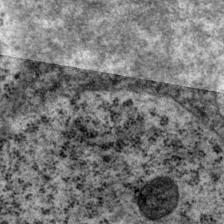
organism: P. pacificus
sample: Pharynx